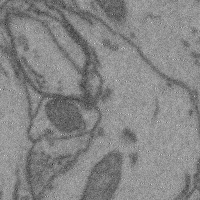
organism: Mouse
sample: Cerebral cortex